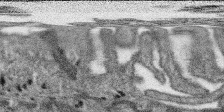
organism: Human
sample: Lung epithelial cells infected with SARS-CoV-2